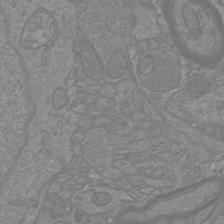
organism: Mouse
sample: Cortical neurons